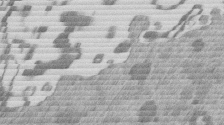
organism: Mouse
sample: Dividing mouse embryo 1 cell stage